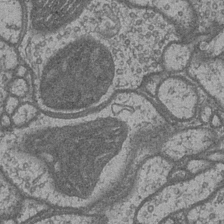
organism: Drosophila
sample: Optic medulla